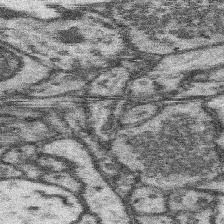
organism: Mouse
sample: Somatosensory cortex neuropil